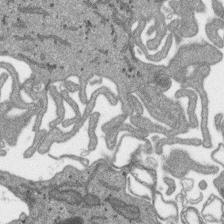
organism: Human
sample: Lung epithelial cells infected with SARS-CoV-2